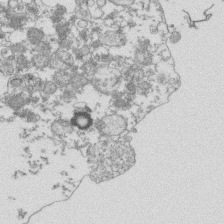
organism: Human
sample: HeLa cell HIV synapse